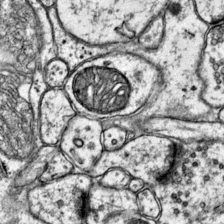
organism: Mouse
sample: Primary visual cortex